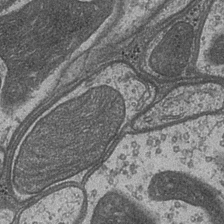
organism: Drosophila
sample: Optic medulla